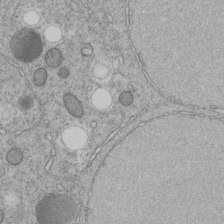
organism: C. elegans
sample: C. elegans embryo early stage